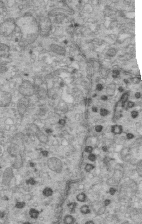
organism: Mouse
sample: Multiciliated cells